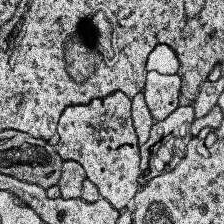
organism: Human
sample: Temporal Lobe